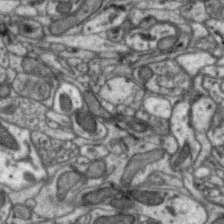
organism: Zebra finch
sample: Brain